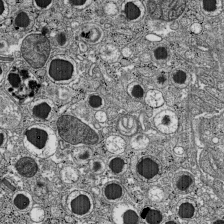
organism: C57BL Mouse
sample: Pancreatic islet